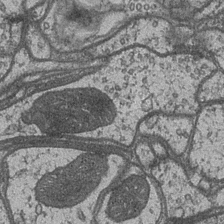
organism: Drosophila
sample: Optic medulla